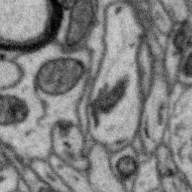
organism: Zebra finch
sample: Brain